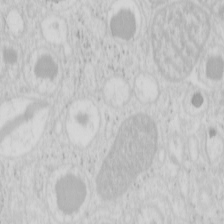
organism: Mouse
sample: Pancreas